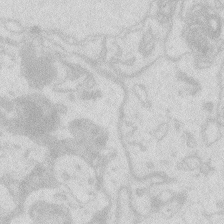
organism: Zebrafish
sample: Macrophage